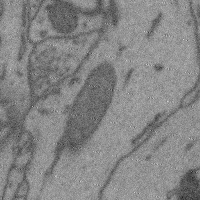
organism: Mouse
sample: Cerebral cortex